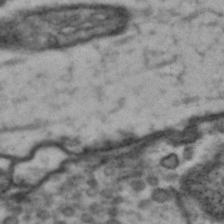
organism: Drosophila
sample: Brain